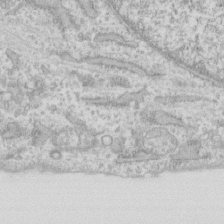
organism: Human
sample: Fibroblast cells